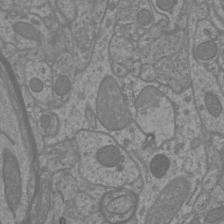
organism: Mouse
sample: Cortical neurons